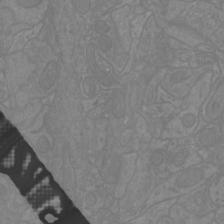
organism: Mouse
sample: Cortical neurons